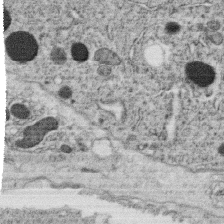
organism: C. elegans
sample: C. elegans oocyte; sperm cells